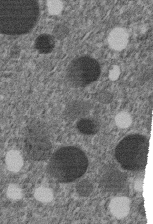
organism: C. elegans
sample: C. elegans embryo early stage